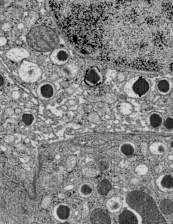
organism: C57BL Mouse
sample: Pancreatic islet